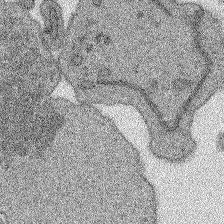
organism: Human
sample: HeLa cells